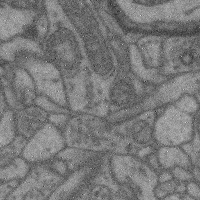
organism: Mouse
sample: Cerebral cortex